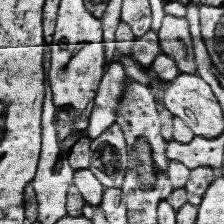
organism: Human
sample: Temporal Lobe